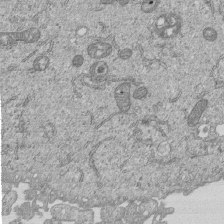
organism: Human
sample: MDA-MB-231 cells